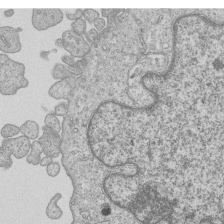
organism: Human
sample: MDA-MB-231 cells